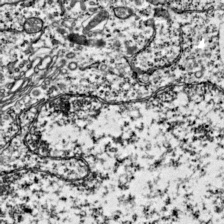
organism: Mouse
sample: Visual Cortex